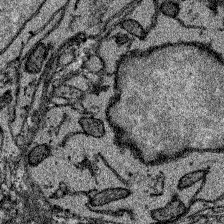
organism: Zebrafish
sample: Larval olfactory bulb